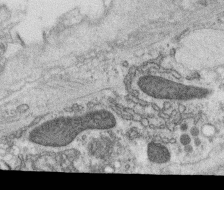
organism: C. elegans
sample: C. elegans oocyte; sperm cells